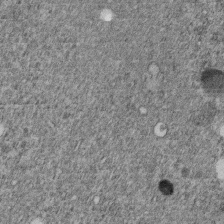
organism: C. elegans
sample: C. elegans embryo early stage